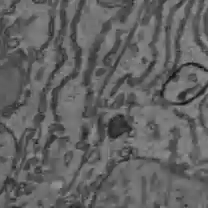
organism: C57BL Mouse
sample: Liver